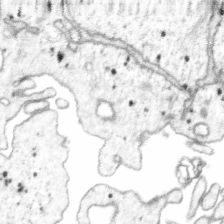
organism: Human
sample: HeLa cells